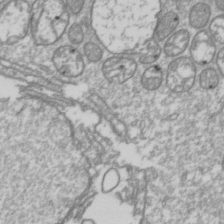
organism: Drosophila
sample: Cell division; meiosis; drosophila spermatocytes